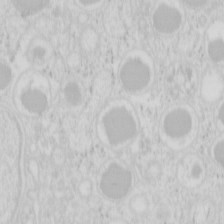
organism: Mouse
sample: Pancreas